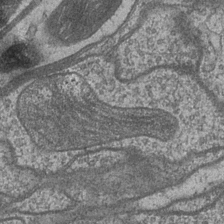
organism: Drosophila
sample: Optic medulla